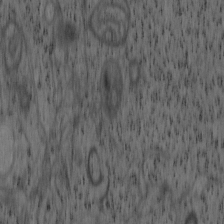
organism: Human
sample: HeLa cells